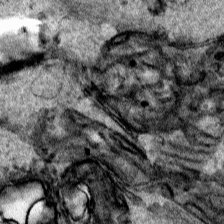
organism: Human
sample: Mitochondria in HCT116 cells